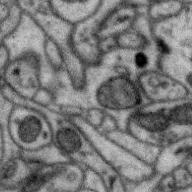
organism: Zebra finch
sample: Brain